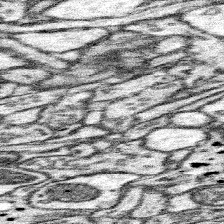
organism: Mouse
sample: Somatosensory cortex neuropil